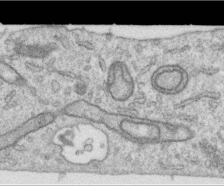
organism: Human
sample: Centriole in RPE cells